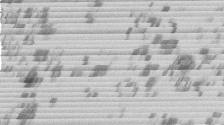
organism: Mouse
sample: Dividing mouse embryo 1 cell stage